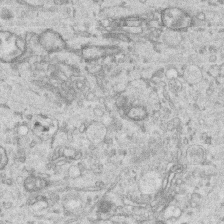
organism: Human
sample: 1205lu cells